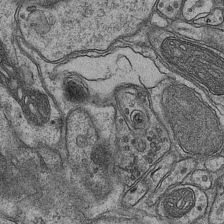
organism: Mouse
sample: CA1 Hippocampus